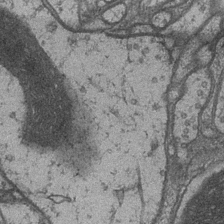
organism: Drosophila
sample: Optic medulla